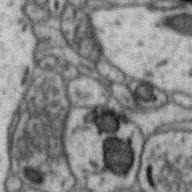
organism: Zebra finch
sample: Brain